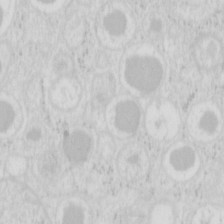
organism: Mouse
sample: Pancreas